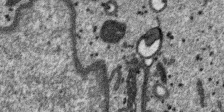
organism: Human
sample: Lung epithelial cells infected with SARS-CoV-2